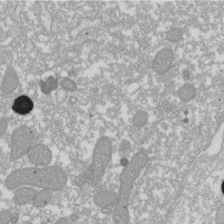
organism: Xenopus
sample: Cilia; centrioles in frog embryo cells